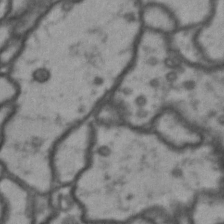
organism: Drosophila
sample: Brain